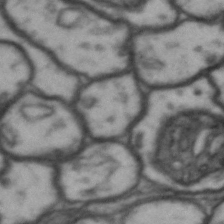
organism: Drosophila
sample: Brain